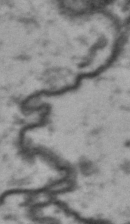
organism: Drosophila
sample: Brain